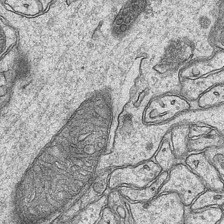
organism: Mouse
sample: CA1 Hippocampus